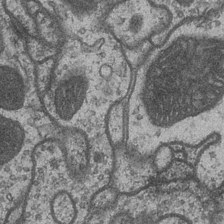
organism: Drosophila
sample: Optic medulla